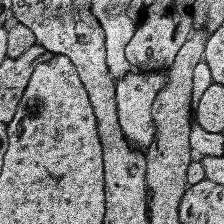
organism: Human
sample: Temporal Lobe